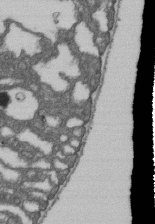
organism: Drosophila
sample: Nephrocyte